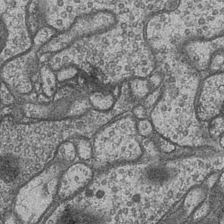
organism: Drosophila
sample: Optic medulla